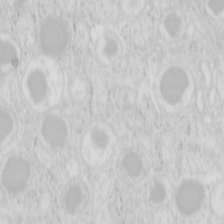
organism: Mouse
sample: Pancreas